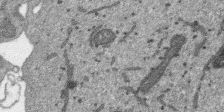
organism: Human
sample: Lung epithelial cells infected with SARS-CoV-2